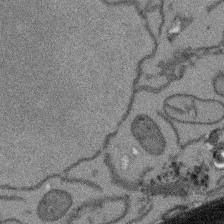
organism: Arabidopsis thaliana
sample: Root tip